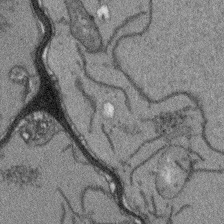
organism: Arabidopsis thaliana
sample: Root tip